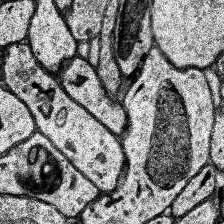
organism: Human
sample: Temporal Lobe